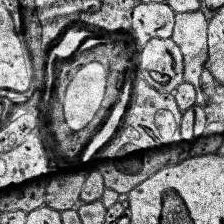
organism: Human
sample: Temporal Lobe